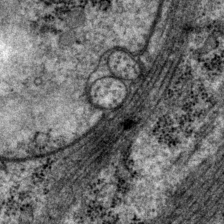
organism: P. pacificus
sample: Pharynx